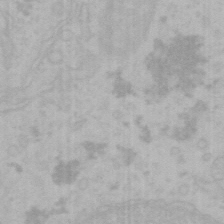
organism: Mouse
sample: Choroid plexus